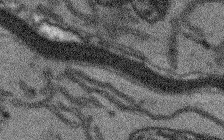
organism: Arabidopsis thaliana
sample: Root tip